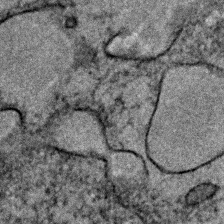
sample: Trachea